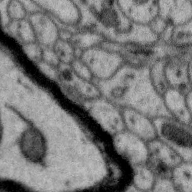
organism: Zebra finch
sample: Brain